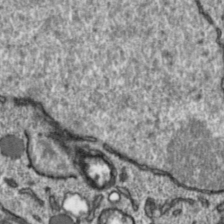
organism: Toxoplasma gondii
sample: Parasites in a vacuole inside a host cell